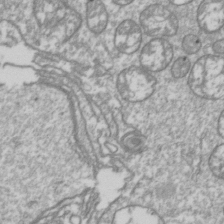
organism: Drosophila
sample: Cell division; meiosis; drosophila spermatocytes